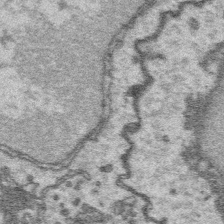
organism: Platynereis dumerilii